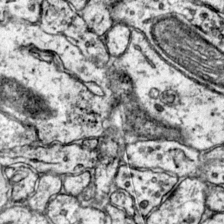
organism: Mouse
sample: Primary visual cortex